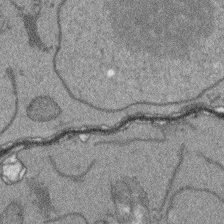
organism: Arabidopsis thaliana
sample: Root tip